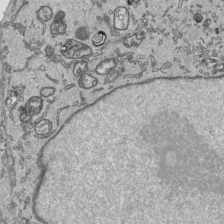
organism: Human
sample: Mitochondria in HCT116 cells